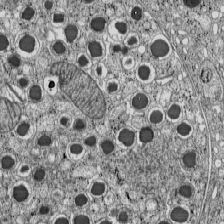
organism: C57BL Mouse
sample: Pancreatic islet